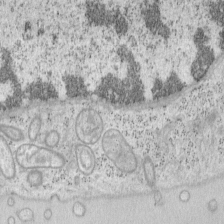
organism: Mouse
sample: OT-I killer T cells with ID8 ovarian cancer cells